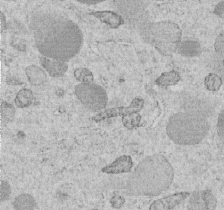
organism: C. elegans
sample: C. elegans embryo early stage